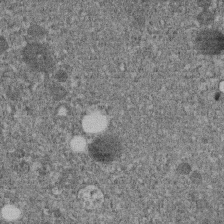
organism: C. elegans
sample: C. elegans embryo early stage